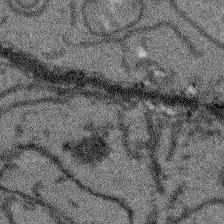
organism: Arabidopsis thaliana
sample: Root tip